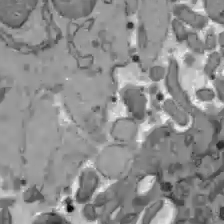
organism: C57BL Mouse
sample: Liver